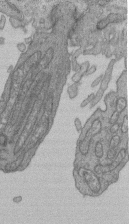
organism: Human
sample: Retinal organoid Rod and Cone cells